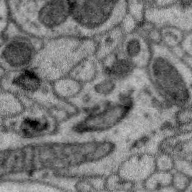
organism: Zebra finch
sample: Brain